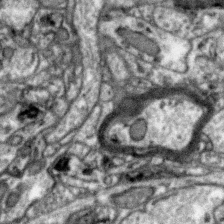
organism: Zebra finch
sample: Brain